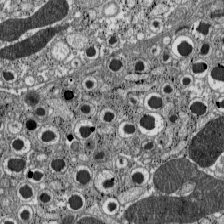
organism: C57BL Mouse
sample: Pancreatic islet